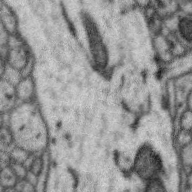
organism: Zebra finch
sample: Brain